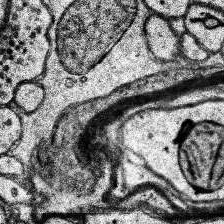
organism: Human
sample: Temporal Lobe